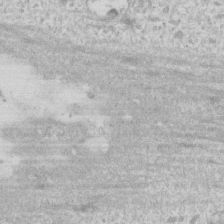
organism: Human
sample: Fibroblast cells